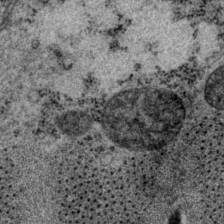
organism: P. pacificus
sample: Pharynx